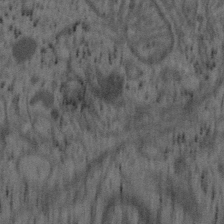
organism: Human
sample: HeLa cells